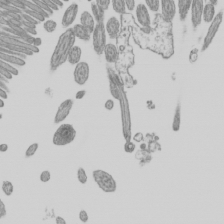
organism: Mouse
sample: Cilia; mouse epididymis